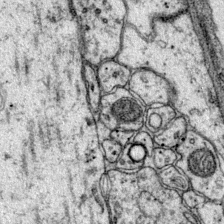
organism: Mouse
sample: Primary visual cortex